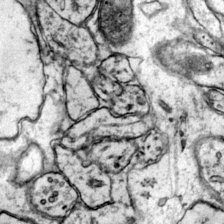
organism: Mouse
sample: Primary visual cortex